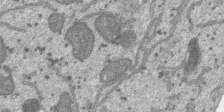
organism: Human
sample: Lung epithelial cells infected with SARS-CoV-2